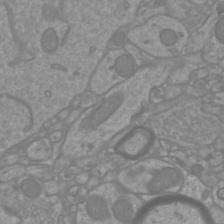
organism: Mouse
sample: Cortical neurons